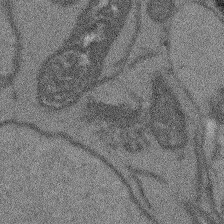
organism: Arabidopsis thaliana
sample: Root tip